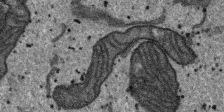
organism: Human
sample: Lung epithelial cells, uninfected (mock) control